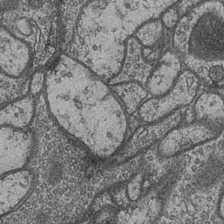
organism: Drosophila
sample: Optic medulla